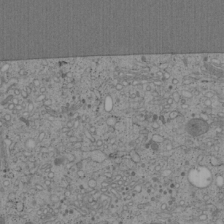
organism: African green monkey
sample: COS-7 cells